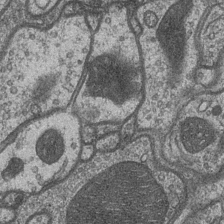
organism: Drosophila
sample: Optic medulla